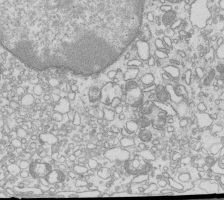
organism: Mouse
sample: Macrophages